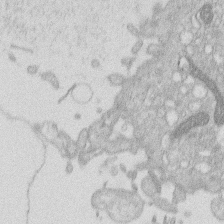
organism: Human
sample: Macrophage cells